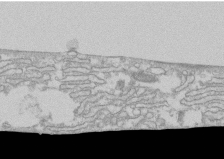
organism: Human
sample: CRL-1474